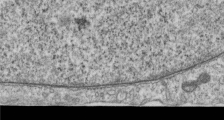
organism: Human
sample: Centriole in RPE cells